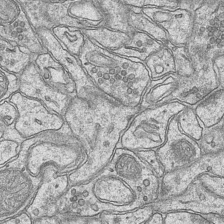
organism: Mouse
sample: CA1 Hippocampus